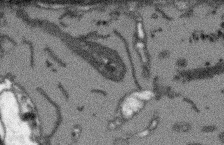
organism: Arabidopsis thaliana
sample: Root tip